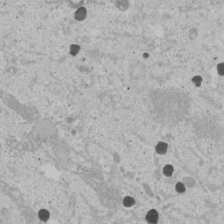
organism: Human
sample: Mitochondria in U2OS cells